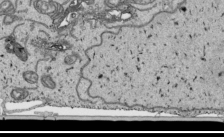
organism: Human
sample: Mitochondria in HCT116 cells